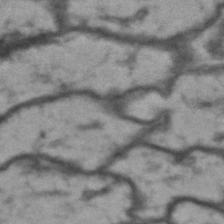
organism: Drosophila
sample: Brain